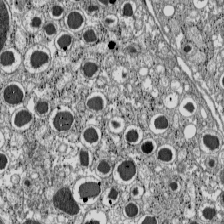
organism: C57BL Mouse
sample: Pancreatic islet